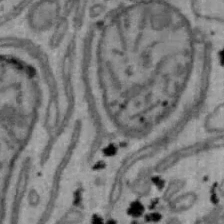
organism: Mouse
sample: Liver